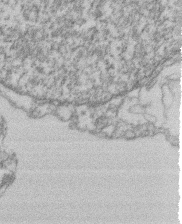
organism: Mouse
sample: T cell stromal cell synapse